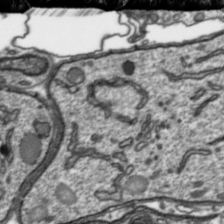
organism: Toxoplasma gondii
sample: Parasites in a vacuole inside a host cell